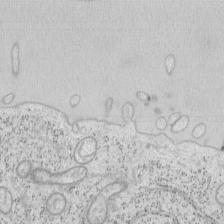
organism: Mouse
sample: OT-I killer T cells with ID8 ovarian cancer cells